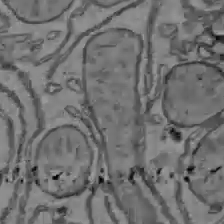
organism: C57BL Mouse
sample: Liver